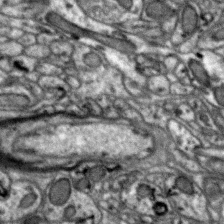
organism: Zebra finch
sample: Brain